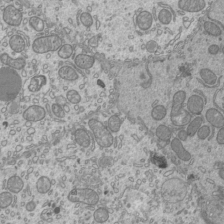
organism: Mouse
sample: Cilia; mouse epididymis